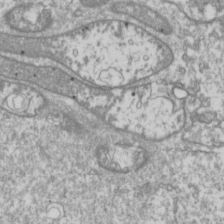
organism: Drosophila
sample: Cell division; meiosis; drosophila spermatocytes